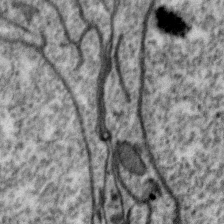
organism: Zebra finch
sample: Brain